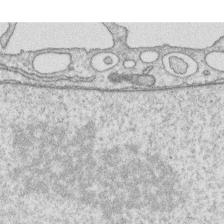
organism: Human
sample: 1205lu cells